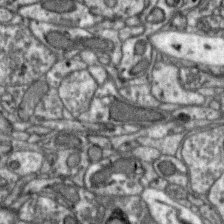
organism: Zebra finch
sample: Brain